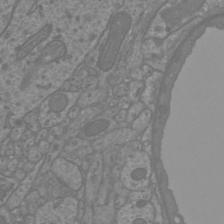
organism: Mouse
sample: Cortical neurons